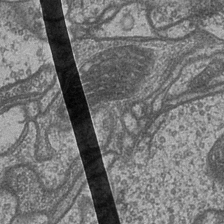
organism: Drosophila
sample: Optic medulla